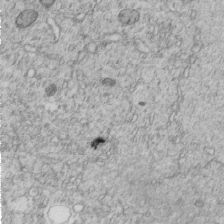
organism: C. elegans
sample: C. elegans embryo early stage